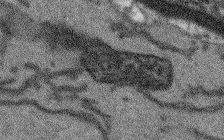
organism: Arabidopsis thaliana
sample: Root tip